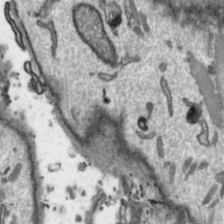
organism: Toxoplasma gondii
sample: Parasites in a vacuole inside a host cell